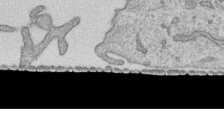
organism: Human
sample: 1205lu cells